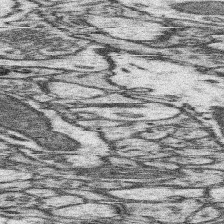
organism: Mouse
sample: Somatosensory cortex neuropil